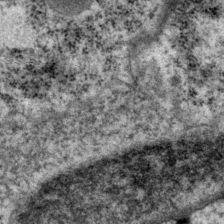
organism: P. pacificus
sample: Pharynx